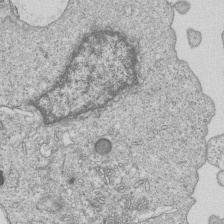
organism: Human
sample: MDA-MB-231 cells